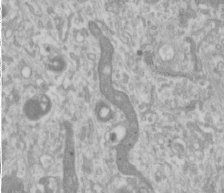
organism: Human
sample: Cilia; basal body in RPE cells